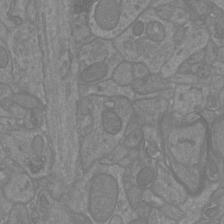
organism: Mouse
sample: Cortical neurons